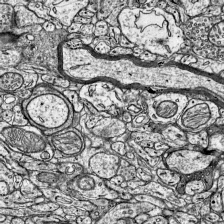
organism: Mouse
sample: Visual Cortex